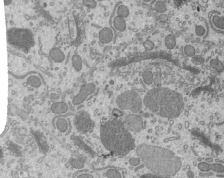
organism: Mouse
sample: Mouse epididymis efferent ductule cilia